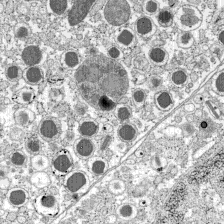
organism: C57BL Mouse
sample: Pancreatic islet